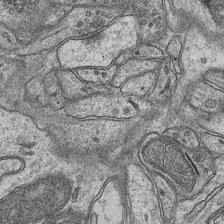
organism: Mouse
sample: CA1 Hippocampus